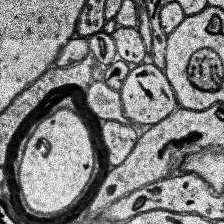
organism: Human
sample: Temporal Lobe